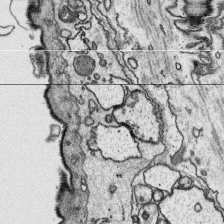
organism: Platynereis dumerilii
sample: Parapodia